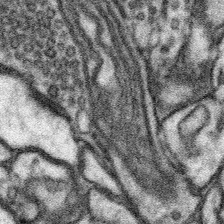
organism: Mouse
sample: Somatosensory cortex neuropil